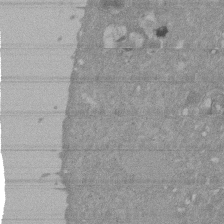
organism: Mouse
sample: ED-1 cell nuclei; centrioles